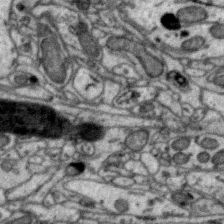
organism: Zebra finch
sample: Brain